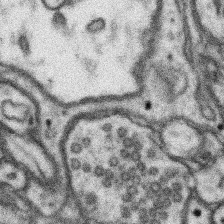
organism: Mouse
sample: Somatosensory cortex neuropil